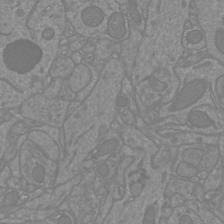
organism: Mouse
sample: Cortical neurons